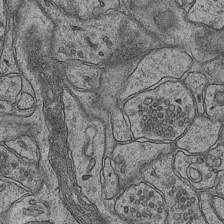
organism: Mouse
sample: CA1 Hippocampus